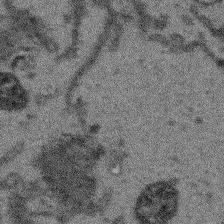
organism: Arabidopsis thaliana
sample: Root tip